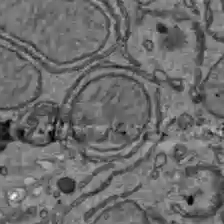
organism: C57BL Mouse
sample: Liver